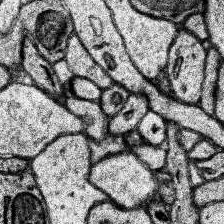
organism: Human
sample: Temporal Lobe